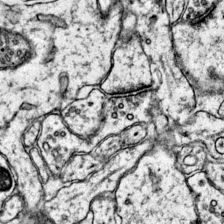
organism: Mouse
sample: Primary visual cortex